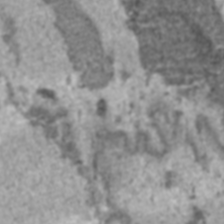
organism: C57BL Mouse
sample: Heart